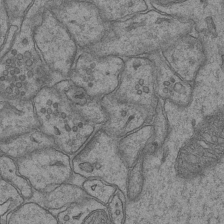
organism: Mouse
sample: CA1 Hippocampus